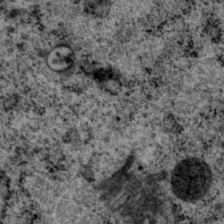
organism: P. pacificus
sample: Pharynx